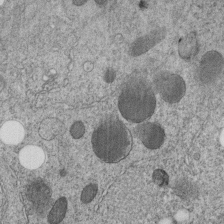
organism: C. elegans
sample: C. elegans embryo early stage